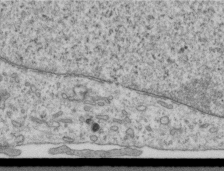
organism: Human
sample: Centriole in RPE cells